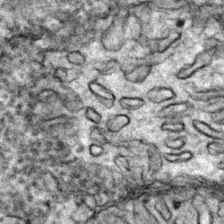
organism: Zebrafish